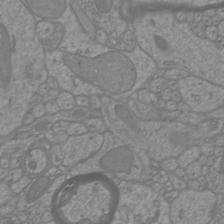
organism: Mouse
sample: Cortical neurons